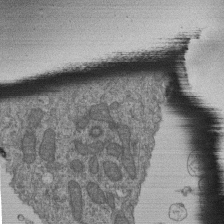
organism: Human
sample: Retinal organoid Rod and Cone cells